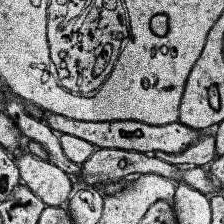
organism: Human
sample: Temporal Lobe